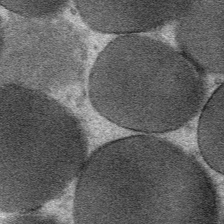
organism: Mouse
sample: Mouse Salivary gland